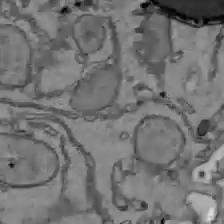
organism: C57BL Mouse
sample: Liver